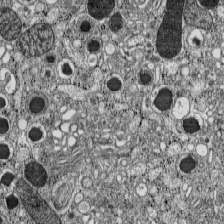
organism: C57BL Mouse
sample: Pancreatic islet